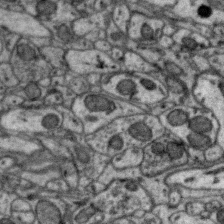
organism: Zebra finch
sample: Brain